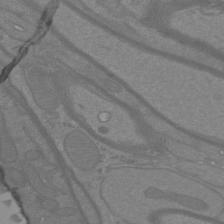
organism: Mouse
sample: Cortical neurons